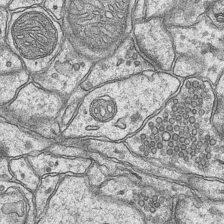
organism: Mouse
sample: CA1 Hippocampus